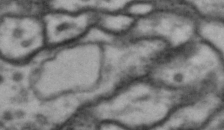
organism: Drosophila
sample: Brain